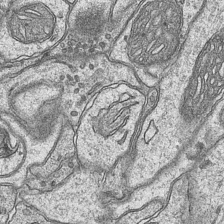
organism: Mouse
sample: CA1 Hippocampus